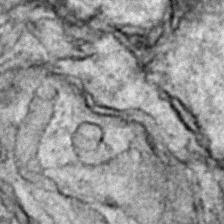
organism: Zebrafish